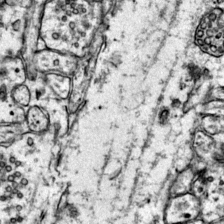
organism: Mouse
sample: Primary visual cortex